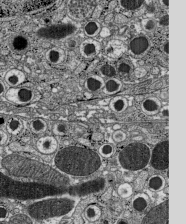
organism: C57BL Mouse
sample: Pancreatic islet